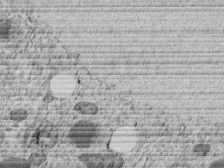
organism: C. elegans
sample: C. elegans embryo early stage